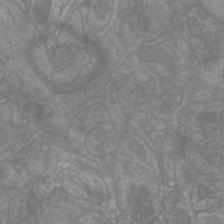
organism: Mouse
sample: Cortical neurons